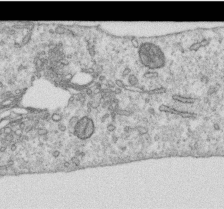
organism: Human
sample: Centriole in RPE cells